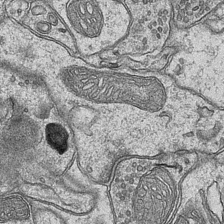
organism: Mouse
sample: CA1 Hippocampus